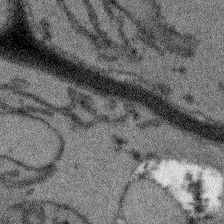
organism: Arabidopsis thaliana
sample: Root tip